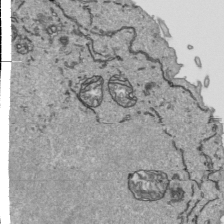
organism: Human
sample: Mitochondria in HCT116 cells